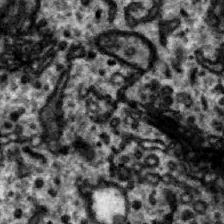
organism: Human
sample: HeLa cells